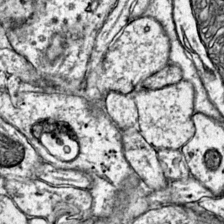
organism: Mouse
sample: Primary visual cortex